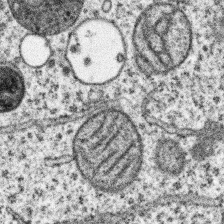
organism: Human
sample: HeLa cells